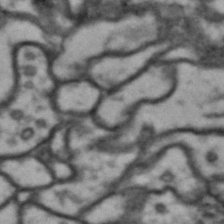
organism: Drosophila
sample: Brain